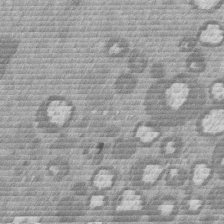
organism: Mouse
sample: Dividing mouse embryo 1 cell stage